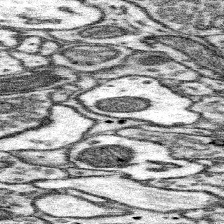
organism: Mouse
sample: Somatosensory cortex neuropil